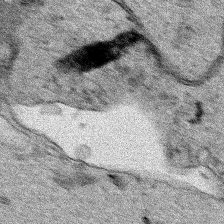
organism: Human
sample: Mitochondria in HCT116 cells